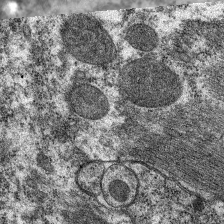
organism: C. elegans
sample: Pharynx